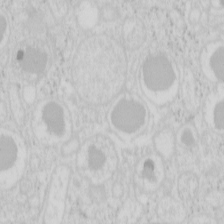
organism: Mouse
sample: Pancreas